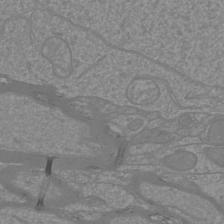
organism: Mouse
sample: Cortical neurons